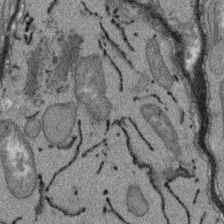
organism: Arabidopsis thaliana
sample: Root tip